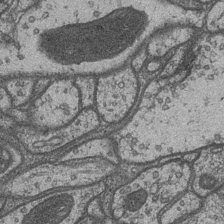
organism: Drosophila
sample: Optic medulla